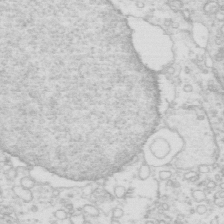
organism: Mouse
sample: Multiciliated cells